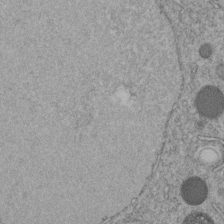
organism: C. elegans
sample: C. elegans embryo early stage